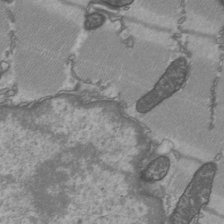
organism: C57BL Mouse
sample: Heart